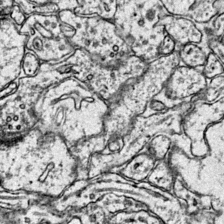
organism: Mouse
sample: Primary visual cortex